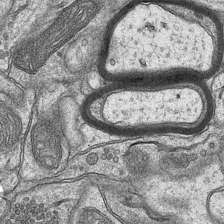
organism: Mouse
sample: CA1 Hippocampus